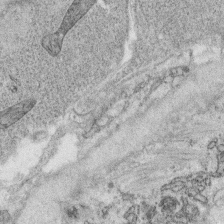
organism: C. elegans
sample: C. elegans oocyte; sperm cells